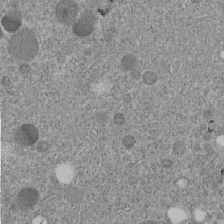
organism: C. elegans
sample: C. elegans embryo early stage